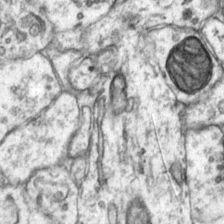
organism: Mouse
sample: Primary visual cortex